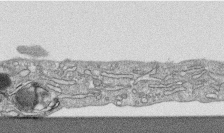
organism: Human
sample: CRL-1474